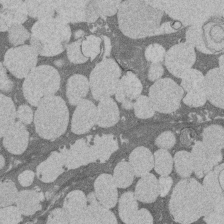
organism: Rat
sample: Salivary granule